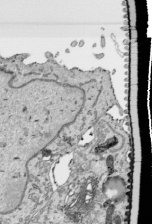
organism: Human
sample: Mitochondria in HCT116 cells